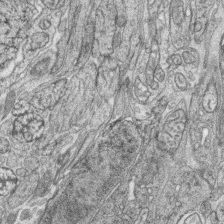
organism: Zebrafish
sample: synaptic ribbons in rod cells and cone cells